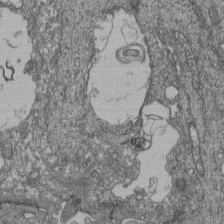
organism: Human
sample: Retinal organoid Rod and Cone cells